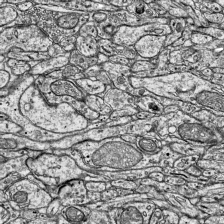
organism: Mouse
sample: Visual Cortex